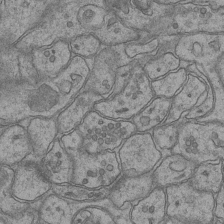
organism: Mouse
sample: CA1 Hippocampus